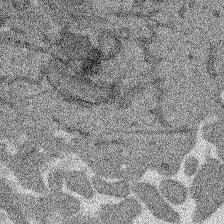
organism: Human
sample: HeLa cells